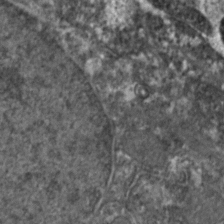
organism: Zebrafish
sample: Zebrafish embryo